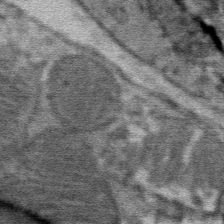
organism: Mouse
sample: Mouse Salivary gland